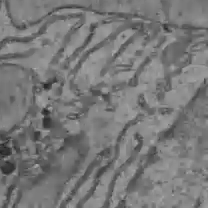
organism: C57BL Mouse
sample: Liver